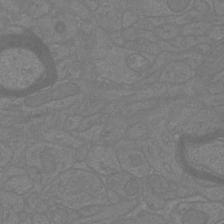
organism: Mouse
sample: Cortical neurons